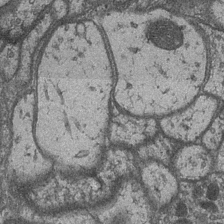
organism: Drosophila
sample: Optic medulla